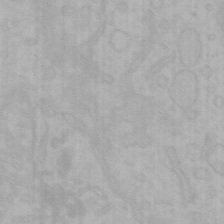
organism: Mouse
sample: Choroid plexus